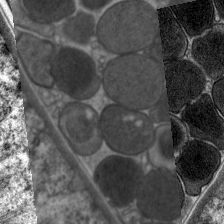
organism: C. elegans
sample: Pharynx